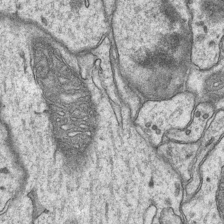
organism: Mouse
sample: CA1 Hippocampus